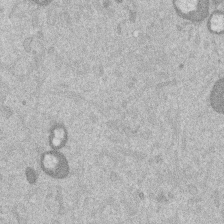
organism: Mouse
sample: Dividing mouse embryo 1 cell stage